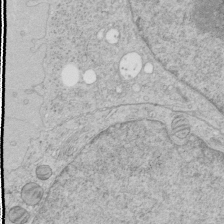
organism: Human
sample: Mitochondria in HCT116 cells